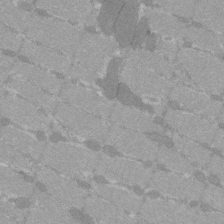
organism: C57BL Mouse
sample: Tibialis anterior muscle cell